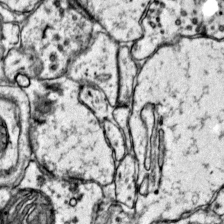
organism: Mouse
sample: Primary visual cortex